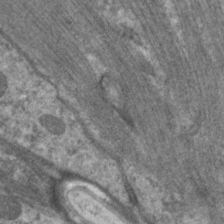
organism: C. elegans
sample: Pharynx